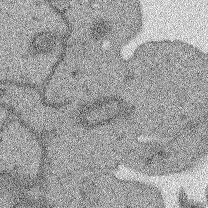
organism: Human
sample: HeLa cells